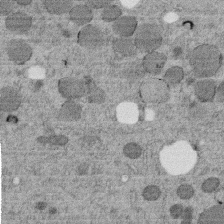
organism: C. elegans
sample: C. elegans embryo early stage